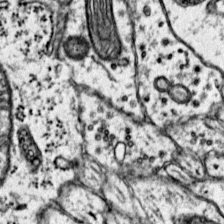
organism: Mouse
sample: Primary visual cortex